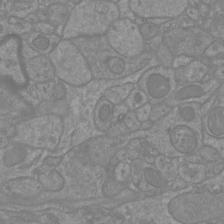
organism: Mouse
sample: Cortical neurons